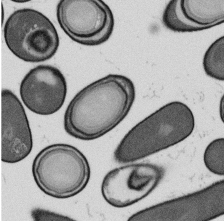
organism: B. subtilis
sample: Bacterial spore